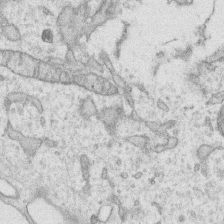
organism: Human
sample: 1205lu cells